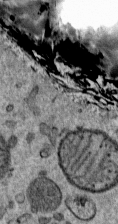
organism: Mouse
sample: Mouse Salivary gland